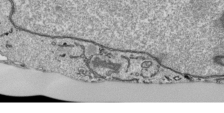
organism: Human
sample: Mitochondria in HCT116 cells